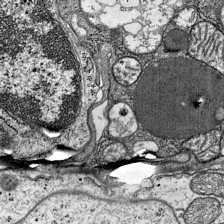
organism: Mouse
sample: Visual Cortex